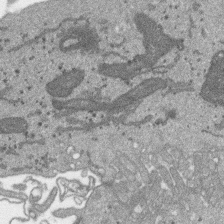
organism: Human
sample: Lung epithelial cells infected with SARS-CoV-2